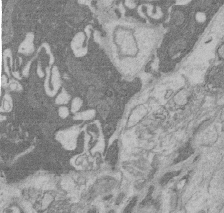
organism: Rat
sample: Salivary granule